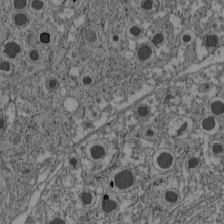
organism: C57BL Mouse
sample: Pancreatic islet